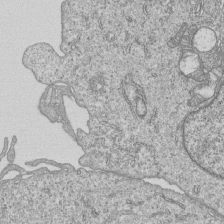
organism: Human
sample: MDA-MB-231 cells